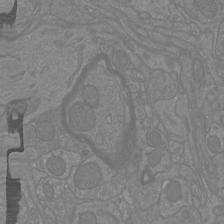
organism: Mouse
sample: Cortical neurons